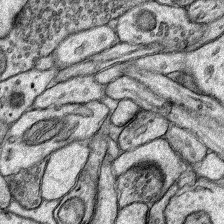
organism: Rat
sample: Hippocampus